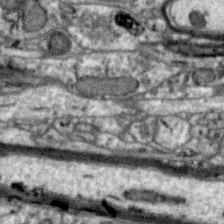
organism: Zebra finch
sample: Brain